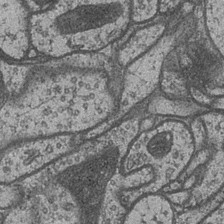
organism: Drosophila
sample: Optic medulla